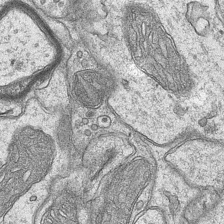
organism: Mouse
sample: CA1 Hippocampus